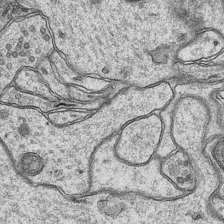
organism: Mouse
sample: CA1 Hippocampus